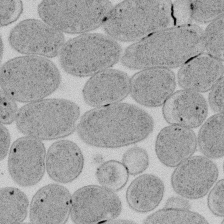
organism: E. coli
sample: Bacterial nucleoid